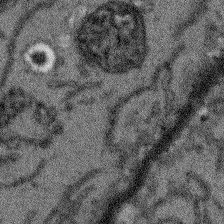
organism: Arabidopsis thaliana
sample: Root tip